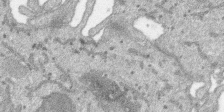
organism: Human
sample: Lung epithelial cells infected with SARS-CoV-2